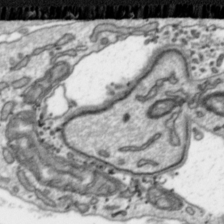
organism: Toxoplasma gondii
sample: Parasites in a vacuole inside a host cell